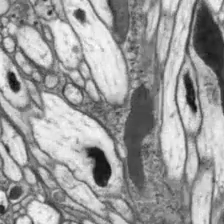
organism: Drosophila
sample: Optic lobe